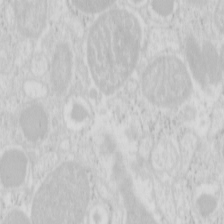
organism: Mouse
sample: Pancreas